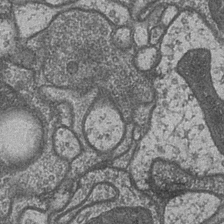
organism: Drosophila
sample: Optic medulla